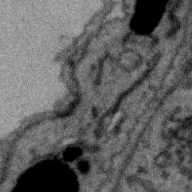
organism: Zebra finch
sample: Brain